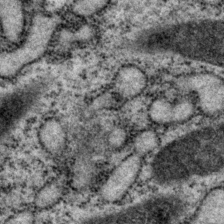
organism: P. pacificus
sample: Pharynx